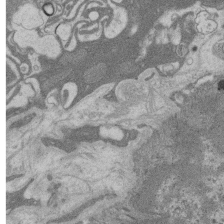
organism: Rat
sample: Salivary granule